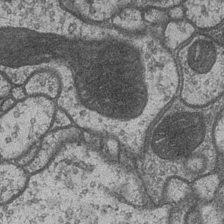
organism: Drosophila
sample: Optic medulla